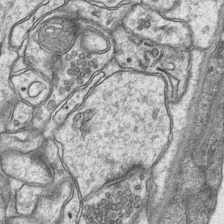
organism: Mouse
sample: CA1 Hippocampus